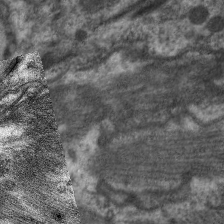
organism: C. elegans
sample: Pharynx